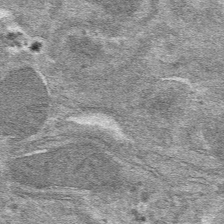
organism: Mouse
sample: Mouse hepatocytes